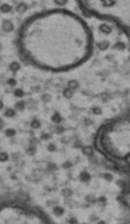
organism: Drosophila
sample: Brain